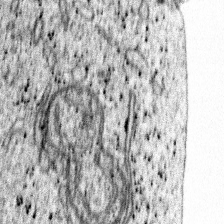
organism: Human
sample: HeLa cells